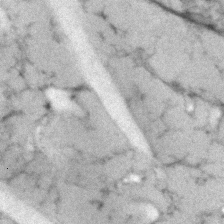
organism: Human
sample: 1205lu cells